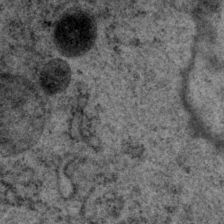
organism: P. pacificus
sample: Pharynx